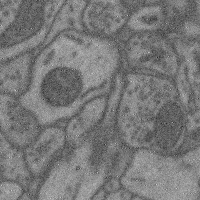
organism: Mouse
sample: Cerebral cortex